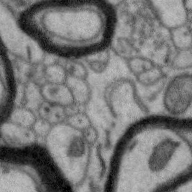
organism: Zebra finch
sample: Brain